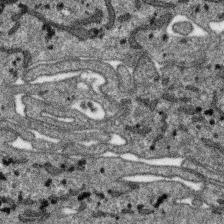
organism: Human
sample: Lung epithelial cells infected with SARS-CoV-2